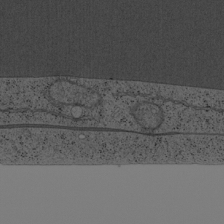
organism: African green monkey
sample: COS-7 cells